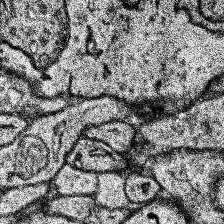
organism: Human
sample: Temporal Lobe